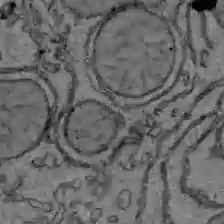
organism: C57BL Mouse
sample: Liver